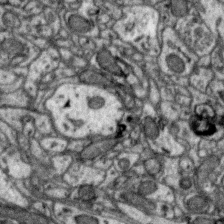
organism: Zebra finch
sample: Brain